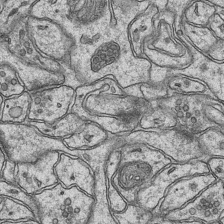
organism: Mouse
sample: CA1 Hippocampus